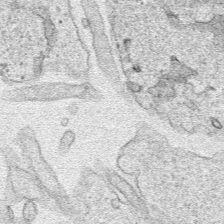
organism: Human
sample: Mitochondria in HCT116 cells